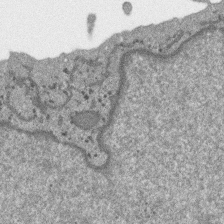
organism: Human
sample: Lung epithelial cells infected with SARS-CoV-2